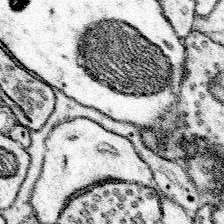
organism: Mouse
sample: Somatosensory cortex neuropil